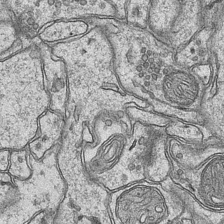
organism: Mouse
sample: CA1 Hippocampus